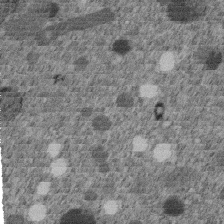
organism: C. elegans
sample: C. elegans embryo early stage